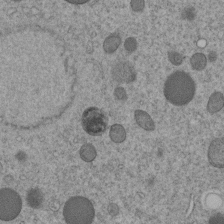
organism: C. elegans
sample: C. elegans embryo early stage